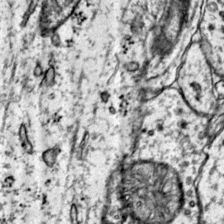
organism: Mouse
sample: Primary visual cortex